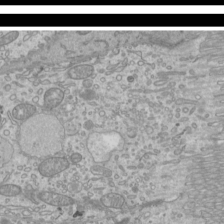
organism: Mouse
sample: Cilia; mouse epididymis